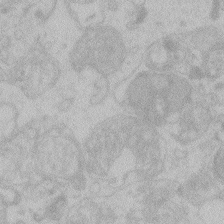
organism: Zebrafish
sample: Macrophage infected with Toxoplasma gondii